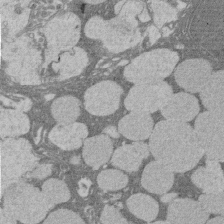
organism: Rat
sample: Salivary granule